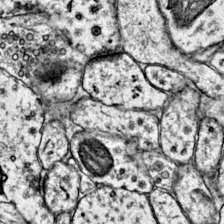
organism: Mouse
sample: Primary visual cortex